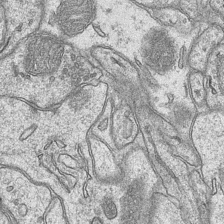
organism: Mouse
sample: CA1 Hippocampus